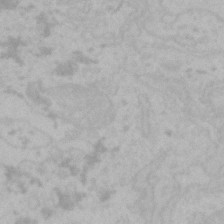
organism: Mouse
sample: Choroid plexus